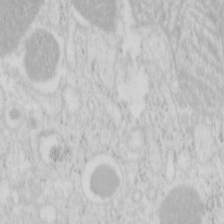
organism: Mouse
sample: Pancreas